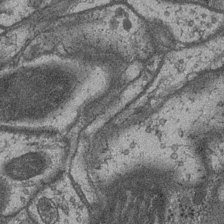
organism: Drosophila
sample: Optic medulla